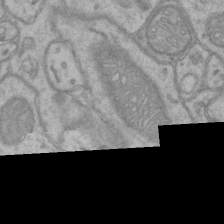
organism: Mouse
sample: CA1 Hippocampus